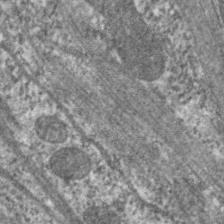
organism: C. elegans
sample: Pharynx